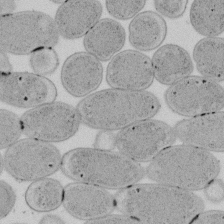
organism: E. coli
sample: Bacterial nucleoid